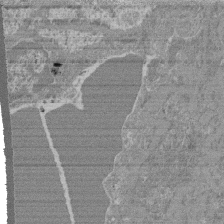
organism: Mouse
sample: Glomerulus